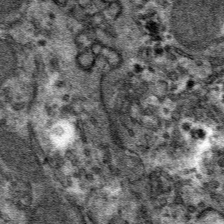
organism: Mouse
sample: Mouse hepatocytes